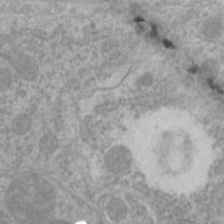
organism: C. elegans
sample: Pharynx